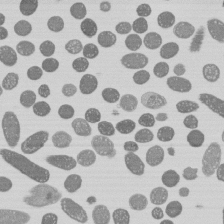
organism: E. coli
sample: Bacterial nucleoid